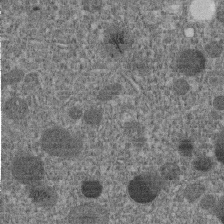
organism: C. elegans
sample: C. elegans embryo early stage